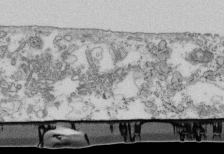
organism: Mouse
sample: Cilia; retinal pigment epithelium